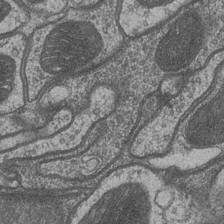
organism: Drosophila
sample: Optic medulla